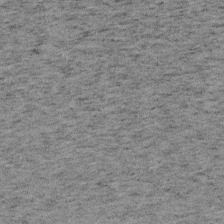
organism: Mouse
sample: OT-I killer T cells with ID8 ovarian cancer cells